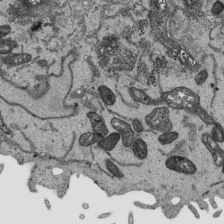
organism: Human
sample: Mitochondria in HCT116 cells